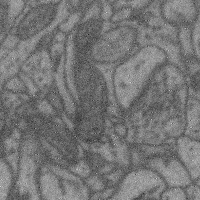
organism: Mouse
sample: Cerebral cortex